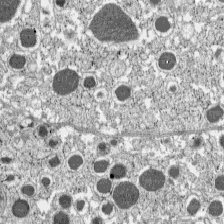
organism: C57BL Mouse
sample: Pancreatic islet